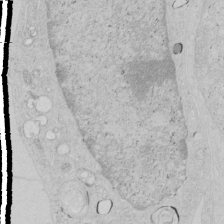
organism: Human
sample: Mitochondria in HCT116 cells